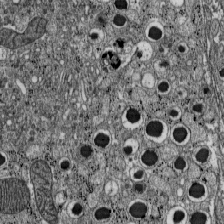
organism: C57BL Mouse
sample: Pancreatic islet